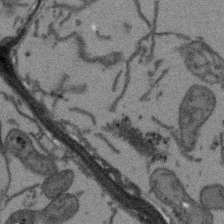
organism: Arabidopsis thaliana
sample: Root tip